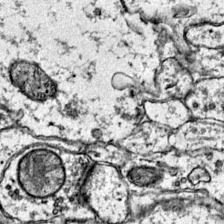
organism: Mouse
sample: Primary visual cortex